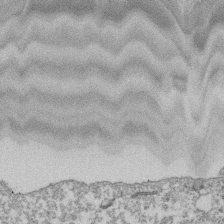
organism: Dictyostelium discoideum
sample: Dictyostelium multivesicular bodies